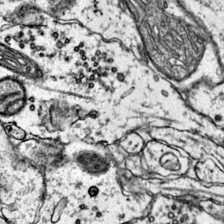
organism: Mouse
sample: Primary visual cortex